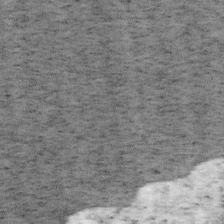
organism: Mouse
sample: OT-I killer T cells with ID8 ovarian cancer cells